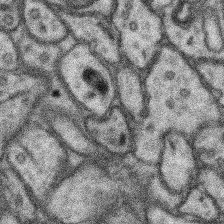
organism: Mouse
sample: Somatosensory cortex neuropil